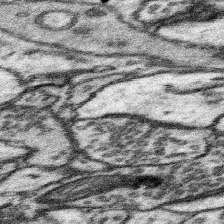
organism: Mouse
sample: Somatosensory cortex neuropil